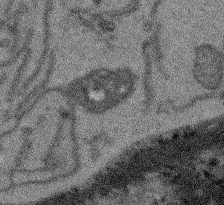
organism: Arabidopsis thaliana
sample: Root tip